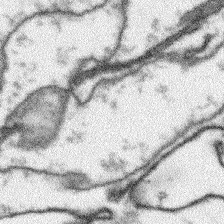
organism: Arabidopsis thaliana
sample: Root tip